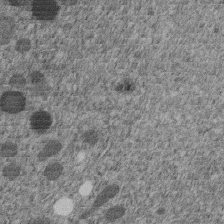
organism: C. elegans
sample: C. elegans embryo early stage